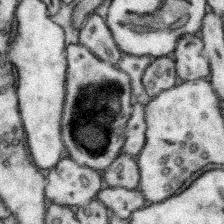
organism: Mouse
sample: Somatosensory cortex neuropil